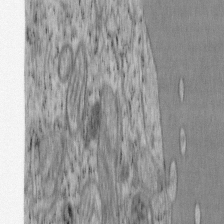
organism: Human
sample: HeLa cells